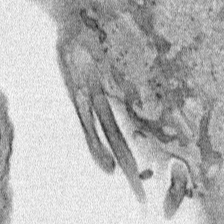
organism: Human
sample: Mitochondria in HCT116 cells